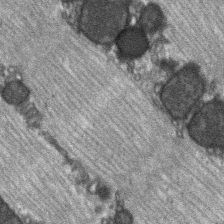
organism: C57BL Mouse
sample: Soleus